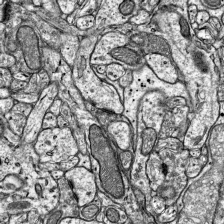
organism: Mouse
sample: Visual Cortex